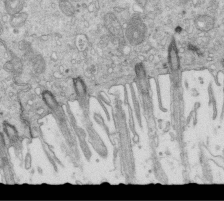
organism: Mouse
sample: Multiciliated cells